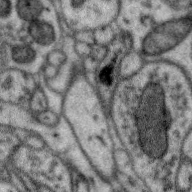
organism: Zebra finch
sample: Brain